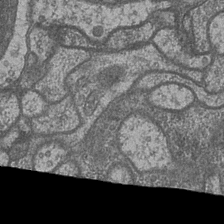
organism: Drosophila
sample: Optic medulla